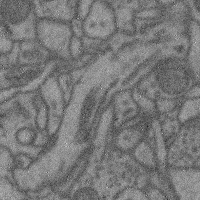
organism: Mouse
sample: Cerebral cortex